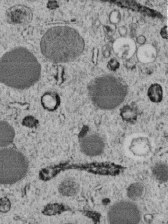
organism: C. elegans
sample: C. elegans embryo early stage